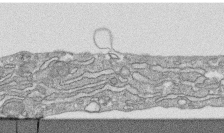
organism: Human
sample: CRL-1474